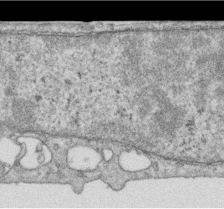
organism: Human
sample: Centriole in RPE cells